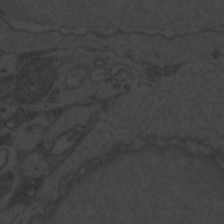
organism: Zebrafish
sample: Macrophage infected with Toxoplasma gondii